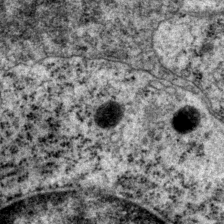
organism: P. pacificus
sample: Pharynx